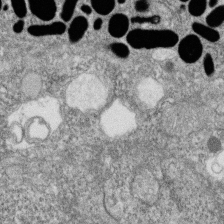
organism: Zebrafish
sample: Cilia; retinal pigment epithelium